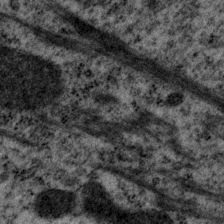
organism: P. pacificus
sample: Pharynx